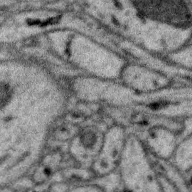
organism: Zebra finch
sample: Brain